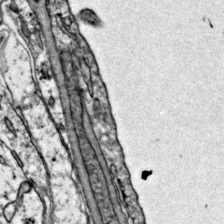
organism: Mouse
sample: Primary visual cortex